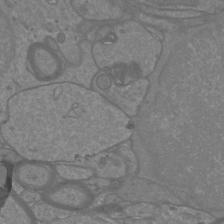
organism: Mouse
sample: Cortical neurons